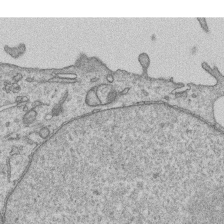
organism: Human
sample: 1205lu cells